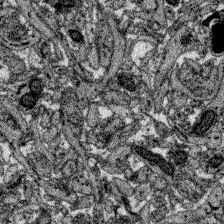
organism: Zebrafish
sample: Larval olfactory bulb